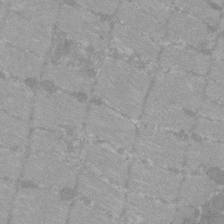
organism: C57BL Mouse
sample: Tibialis anterior muscle cell